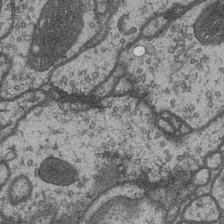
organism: Drosophila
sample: Optic medulla